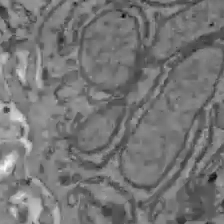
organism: C57BL Mouse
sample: Liver